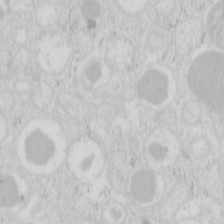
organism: Mouse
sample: Pancreas